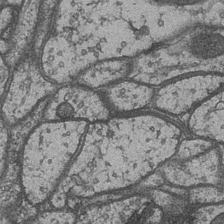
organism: Drosophila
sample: Optic medulla